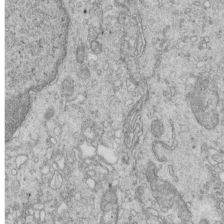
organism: Mouse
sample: Multiciliated cells